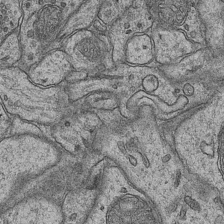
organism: Mouse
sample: CA1 Hippocampus